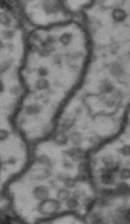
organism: Drosophila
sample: Brain